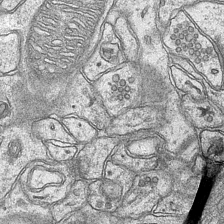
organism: Mouse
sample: CA1 Hippocampus